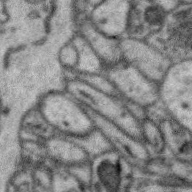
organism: Zebra finch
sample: Brain